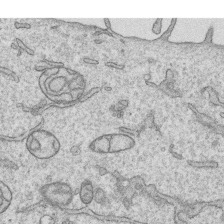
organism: Human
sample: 1205lu cells